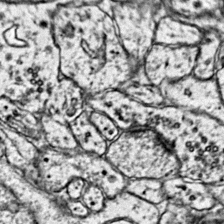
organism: Mouse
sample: Primary visual cortex